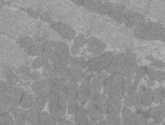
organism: C57BL Mouse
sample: Tibialis anterior muscle cell